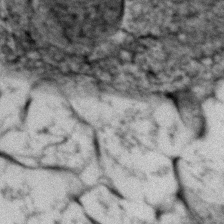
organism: Zebrafish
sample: Zebrafish embryo